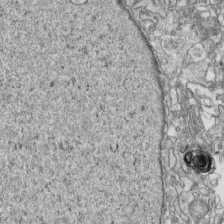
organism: Human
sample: CRL-1474